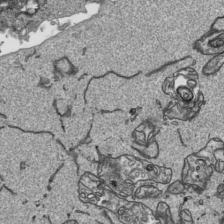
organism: Human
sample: Mitochondria in HCT116 cells